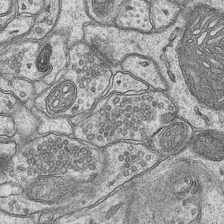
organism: Mouse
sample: CA1 Hippocampus